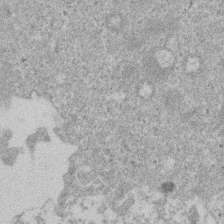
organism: Mouse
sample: Dividing mouse embryo 1 cell stage